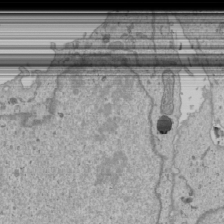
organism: Human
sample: Mitochondria in U2OS cells